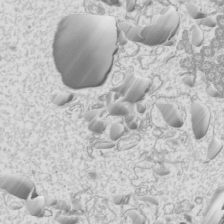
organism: Mouse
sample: Cilia; mouse epididymis